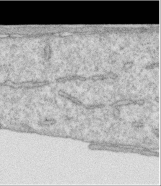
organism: Human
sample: Centriole in RPE cells